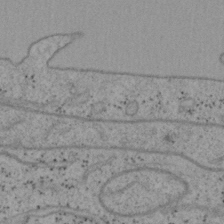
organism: Human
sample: HeLa cells